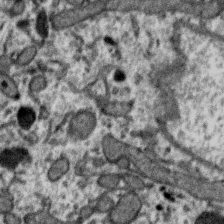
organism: Zebra finch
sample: Brain